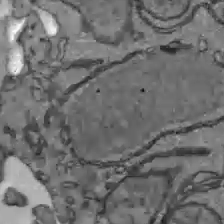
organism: C57BL Mouse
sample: Liver